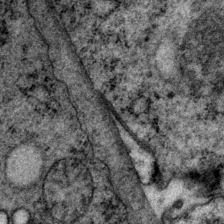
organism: P. pacificus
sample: Pharynx